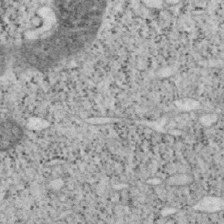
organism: Mouse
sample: OT-I killer T cells with ID8 ovarian cancer cells